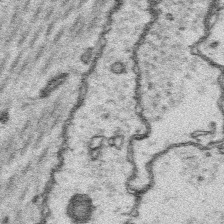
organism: Platynereis dumerilii